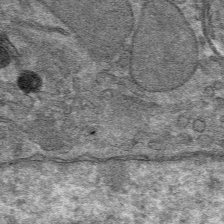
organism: Mouse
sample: Mouse hepatocytes